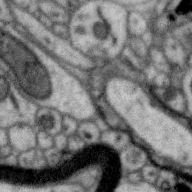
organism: Zebra finch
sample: Brain